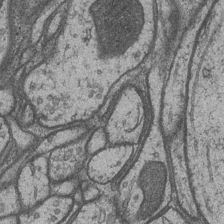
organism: Drosophila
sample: Optic medulla